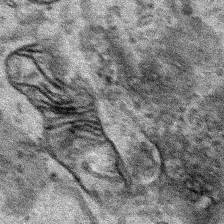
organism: Human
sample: Mitochondria in HCT116 cells